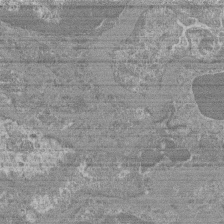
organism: Mouse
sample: Glomerulus